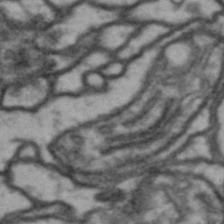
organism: Drosophila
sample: Brain